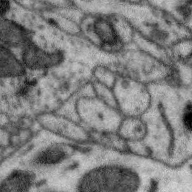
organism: Zebra finch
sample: Brain